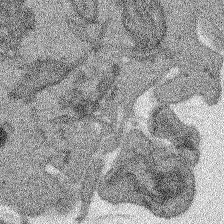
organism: Human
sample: HeLa cells